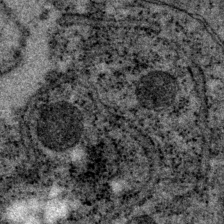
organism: P. pacificus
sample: Pharynx